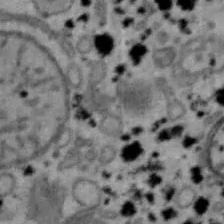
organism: Mouse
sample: Liver